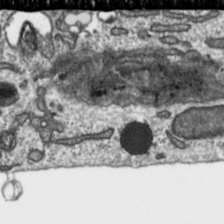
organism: Toxoplasma gondii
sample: Parasites in a vacuole inside a host cell